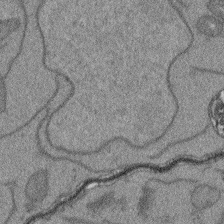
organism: Arabidopsis thaliana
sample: Root tip